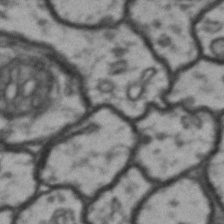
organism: Drosophila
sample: Brain